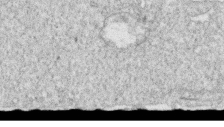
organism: Human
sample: HeLa cell HIV synapse